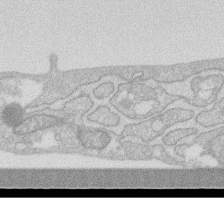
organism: Human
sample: Fibroblast cells